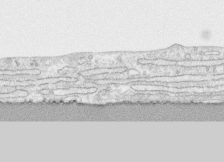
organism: Human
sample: CRL-1474